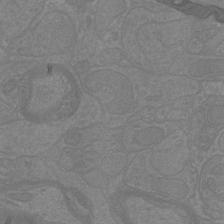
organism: Mouse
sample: Cortical neurons